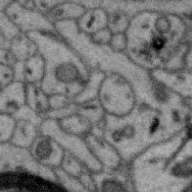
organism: Zebra finch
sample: Brain